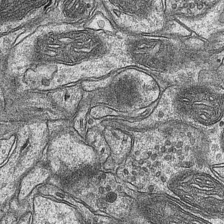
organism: Mouse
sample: CA1 Hippocampus